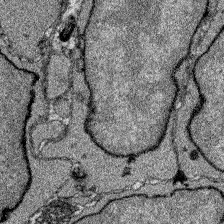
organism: Zebrafish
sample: Larval olfactory bulb